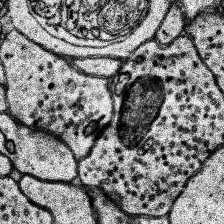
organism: Human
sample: Temporal Lobe